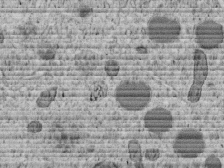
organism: C. elegans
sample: C. elegans embryo early stage